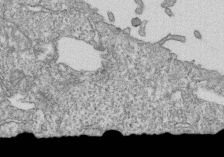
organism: Human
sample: HeLa cell HIV synapse